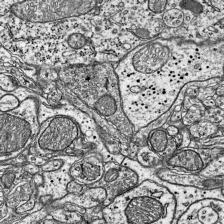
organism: Mouse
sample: Visual Cortex